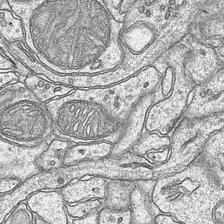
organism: Mouse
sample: CA1 Hippocampus